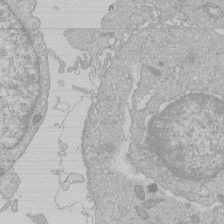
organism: Human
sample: Macrophage cells